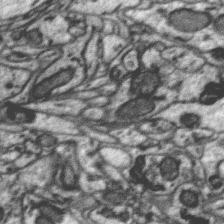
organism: Zebra finch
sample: Brain